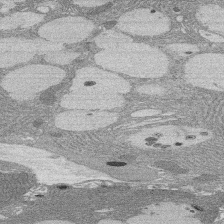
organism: Rat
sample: Salivary granule